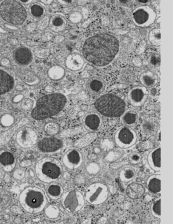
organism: C57BL Mouse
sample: Pancreatic islet